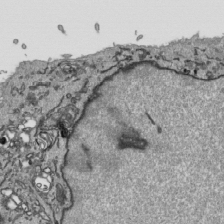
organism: Human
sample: Mitochondria in HCT116 cells